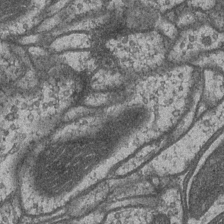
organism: Drosophila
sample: Optic medulla